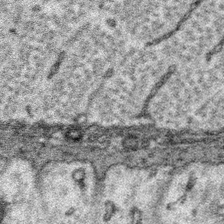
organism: Platynereis dumerilii